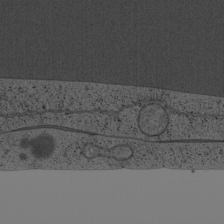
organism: African green monkey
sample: COS-7 cells